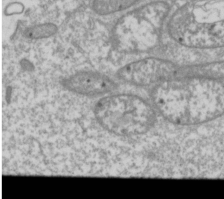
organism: Drosophila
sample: Cell division; meiosis; drosophila spermatocytes